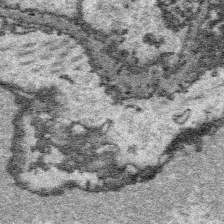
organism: Platynereis dumerilii